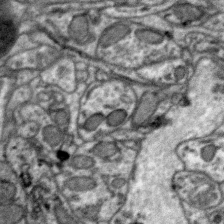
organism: Zebra finch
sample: Brain